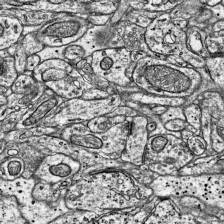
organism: Mouse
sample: Visual Cortex